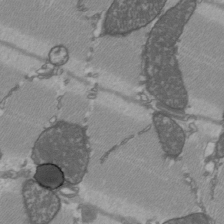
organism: C57BL Mouse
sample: Heart